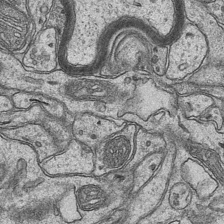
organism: Mouse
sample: CA1 Hippocampus